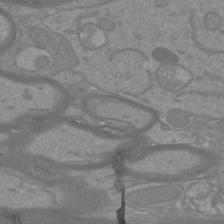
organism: Mouse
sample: Cortical neurons